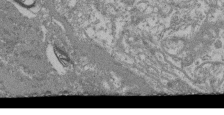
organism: Mouse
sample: Glomerulus